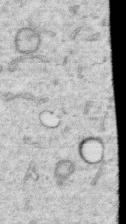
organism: Human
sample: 1205lu cells